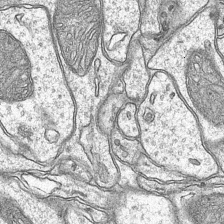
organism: Mouse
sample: CA1 Hippocampus